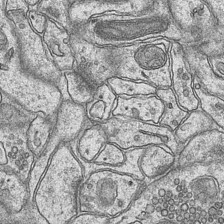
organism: Mouse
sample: CA1 Hippocampus